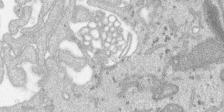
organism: Human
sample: Lung epithelial cells infected with SARS-CoV-2